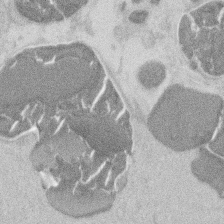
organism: Mouse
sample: T cell stromal cell synapse